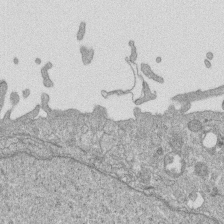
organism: Human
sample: HeLa cell HIV synapse